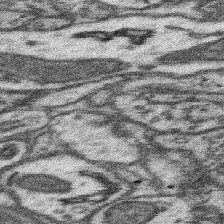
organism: Mouse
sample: Somatosensory cortex neuropil